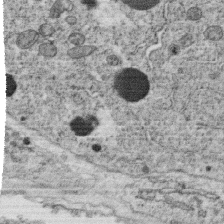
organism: C. elegans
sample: C. elegans oocyte; sperm cells